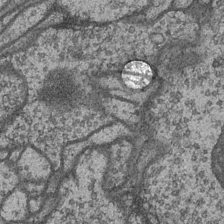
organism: Drosophila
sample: Optic medulla